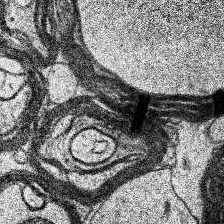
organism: Human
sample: Temporal Lobe